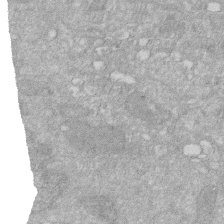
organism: Human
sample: HIV infected U937 cells